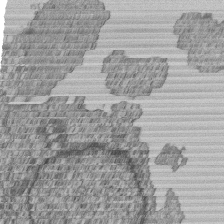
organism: Human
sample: MDA-MB-231 cells